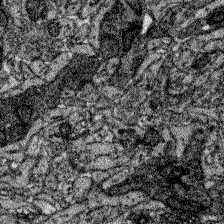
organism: Zebrafish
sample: Larval olfactory bulb